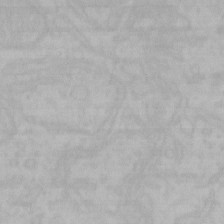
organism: Mouse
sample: Choroid plexus